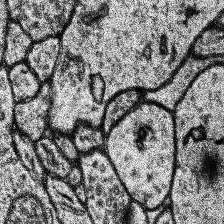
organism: Human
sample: Temporal Lobe